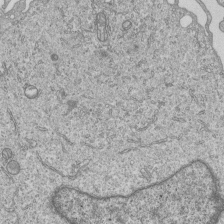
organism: Human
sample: MDA-MB-231 cells